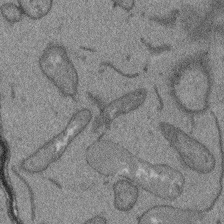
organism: Arabidopsis thaliana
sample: Root tip